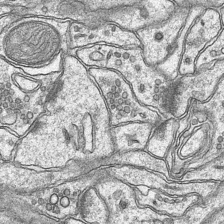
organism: Mouse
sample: CA1 Hippocampus